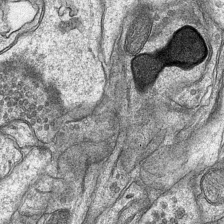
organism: Mouse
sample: CA1 Hippocampus